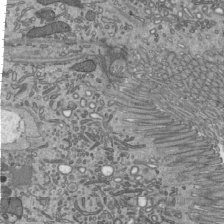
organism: Mouse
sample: Mouse epididymis efferent ductule cilia